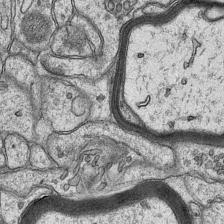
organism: Mouse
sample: CA1 Hippocampus